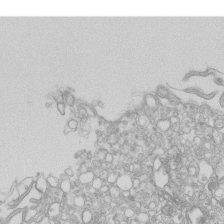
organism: Mouse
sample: Macrophages